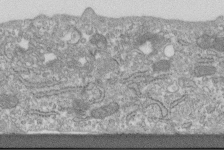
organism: Human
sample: Centriole in fibroblast cells